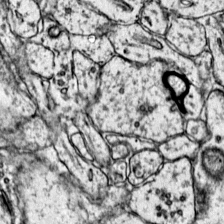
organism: Mouse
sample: Primary visual cortex